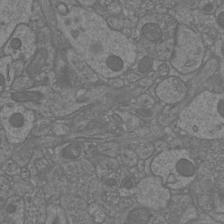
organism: Mouse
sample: Cortical neurons